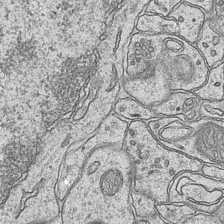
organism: Mouse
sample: CA1 Hippocampus